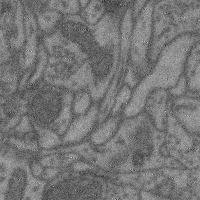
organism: Mouse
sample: Cerebral cortex